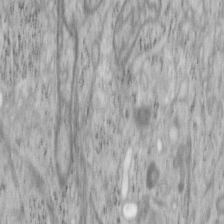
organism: Human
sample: HeLa cells